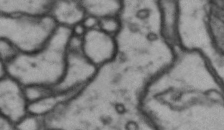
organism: Drosophila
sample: Brain